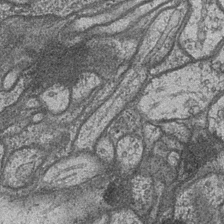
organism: Drosophila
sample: Optic medulla